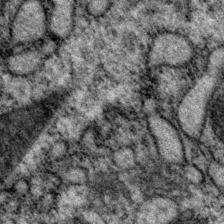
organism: P. pacificus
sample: Pharynx